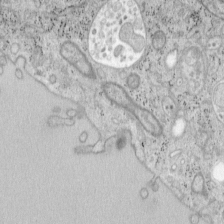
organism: Mouse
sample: OT-I killer T cells with ID8 ovarian cancer cells